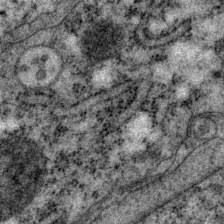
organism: P. pacificus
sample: Pharynx